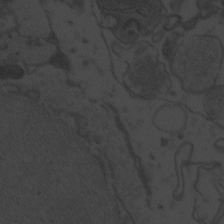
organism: Zebrafish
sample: Macrophage infected with Toxoplasma gondii